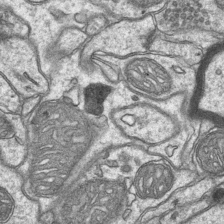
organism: Mouse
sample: CA1 Hippocampus